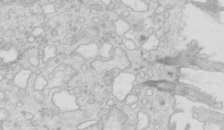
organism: Mouse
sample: Multiciliated cells